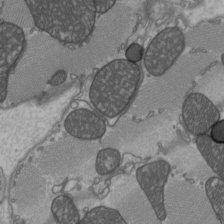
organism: C57BL Mouse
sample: Heart